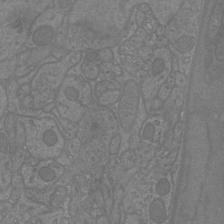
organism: Mouse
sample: Cortical neurons